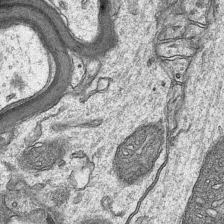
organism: Mouse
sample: CA1 Hippocampus